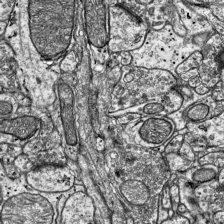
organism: Mouse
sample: Visual Cortex